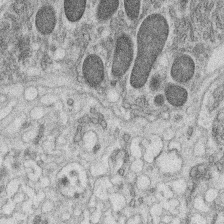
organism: C. elegans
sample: C. elegans oocyte; sperm cells